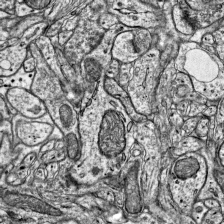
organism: Mouse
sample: Visual Cortex